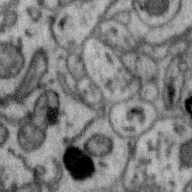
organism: Zebra finch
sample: Brain